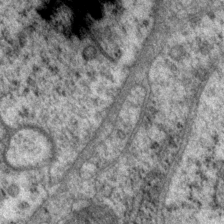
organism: P. pacificus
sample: Pharynx